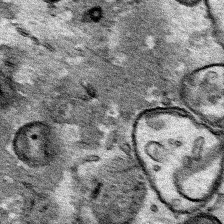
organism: Human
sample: Mitochondria in HCT116 cells